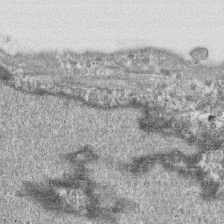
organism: Human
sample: CRL-1474